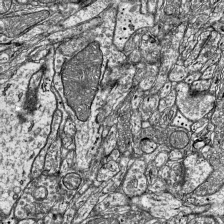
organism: Mouse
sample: Visual Cortex